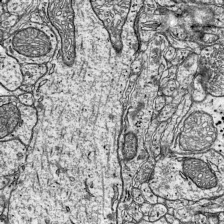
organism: Mouse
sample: Visual Cortex